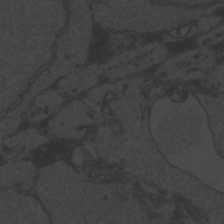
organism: Zebrafish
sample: Macrophage infected with Toxoplasma gondii